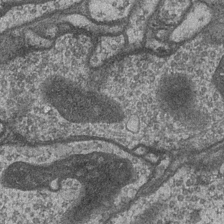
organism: Drosophila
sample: Optic medulla